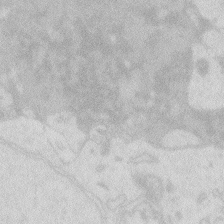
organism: Zebrafish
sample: Macrophage